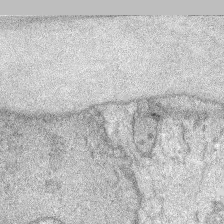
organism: Mouse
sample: Corneal nerves